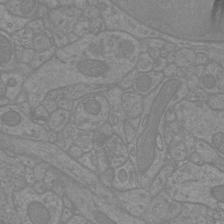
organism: Mouse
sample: Cortical neurons